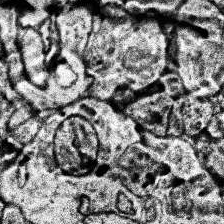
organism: Human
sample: Temporal Lobe